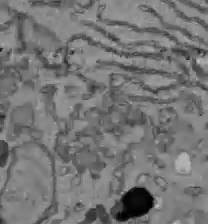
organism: C57BL Mouse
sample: Liver